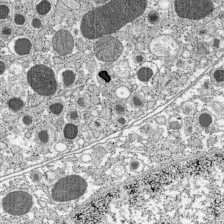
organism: C57BL Mouse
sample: Pancreatic islet